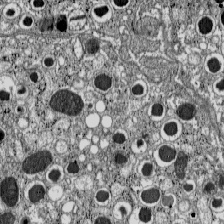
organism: C57BL Mouse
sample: Pancreatic islet